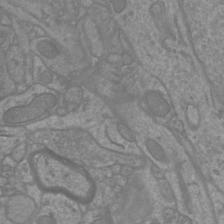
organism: Mouse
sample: Cortical neurons